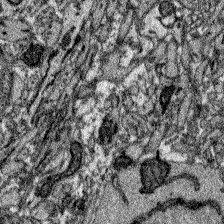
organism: Zebrafish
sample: Larval olfactory bulb